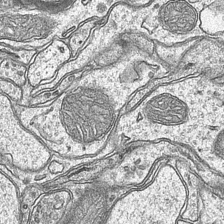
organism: Mouse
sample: CA1 Hippocampus